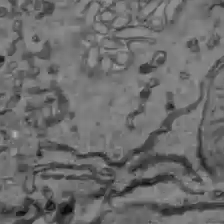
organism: C57BL Mouse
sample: Liver